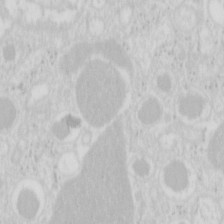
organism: Mouse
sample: Pancreas